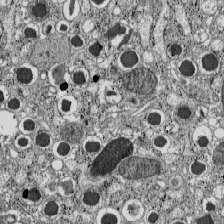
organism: C57BL Mouse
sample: Pancreatic islet